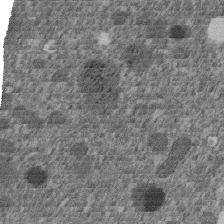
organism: C. elegans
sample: C. elegans embryo early stage